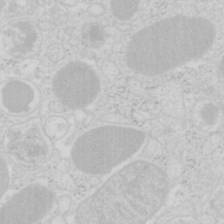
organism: Mouse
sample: Pancreas